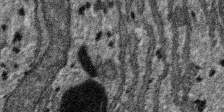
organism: Human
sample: Lung epithelial cells infected with SARS-CoV-2